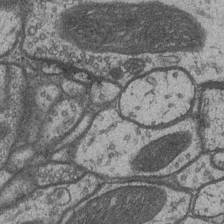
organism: Drosophila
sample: Optic medulla